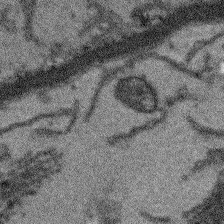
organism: Arabidopsis thaliana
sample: Root tip